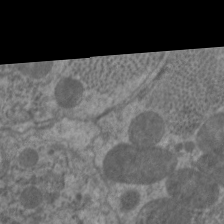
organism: C. elegans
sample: Pharynx